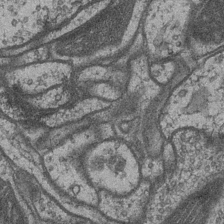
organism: Drosophila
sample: Optic medulla